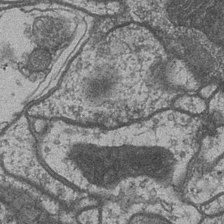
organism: Drosophila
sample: Optic medulla